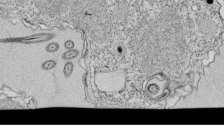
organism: Tetrahymena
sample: Cilia in tetrahymena